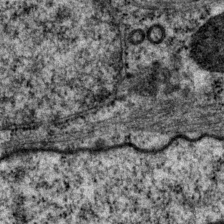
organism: P. pacificus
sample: Pharynx